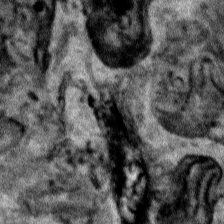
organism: Human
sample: Mitochondria in HCT116 cells